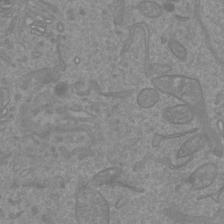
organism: Mouse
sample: Cortical neurons